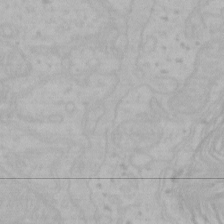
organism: Mouse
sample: Choroid plexus